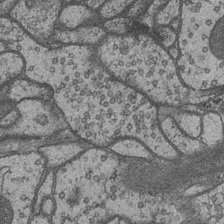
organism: Drosophila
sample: Optic medulla